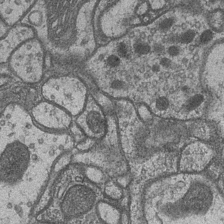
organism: Drosophila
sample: Optic medulla